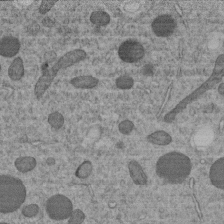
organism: C. elegans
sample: C. elegans embryo early stage